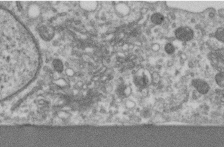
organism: Human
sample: Centriole in RPE cells